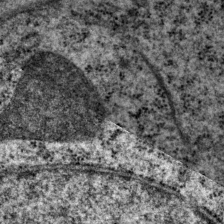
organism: P. pacificus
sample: Pharynx